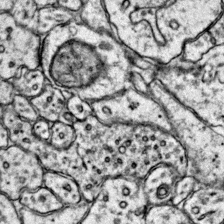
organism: Mouse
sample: Primary visual cortex